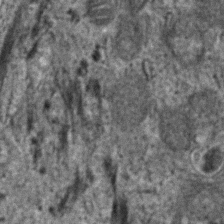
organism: Human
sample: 1205lu cells